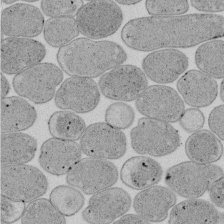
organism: E. coli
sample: Bacterial nucleoid